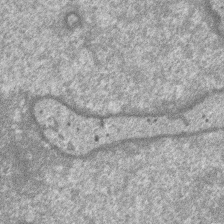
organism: Human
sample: Lung epithelial cells infected with SARS-CoV-2